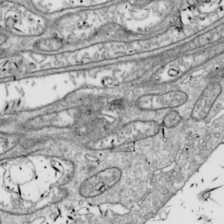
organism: Drosophila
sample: Cell division; meiosis; drosophila spermatocytes